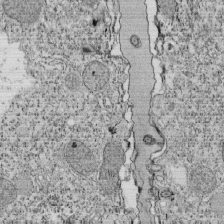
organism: Tetrahymena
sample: Cilia in tetrahymena